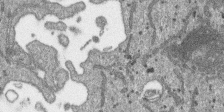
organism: Human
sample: Lung epithelial cells infected with SARS-CoV-2